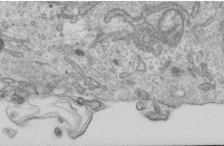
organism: Human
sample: Centriole in RPE cells